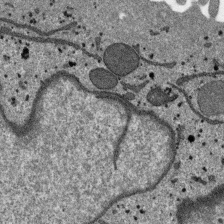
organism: Human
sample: Lung epithelial cells, uninfected (mock) control